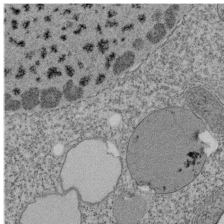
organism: Tetrahymena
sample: Cilia in tetrahymena